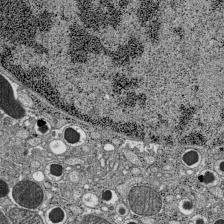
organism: C57BL Mouse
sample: Pancreatic islet